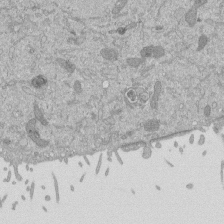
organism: Mouse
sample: ED-1 cell nuclei; centrioles